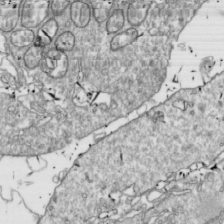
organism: Drosophila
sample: Cell division; meiosis; drosophila spermatocytes